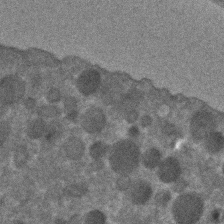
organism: C. elegans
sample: C. elegans embryo